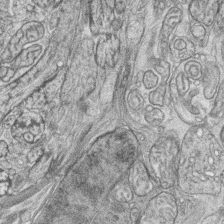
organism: Zebrafish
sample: synaptic ribbons in rod cells and cone cells